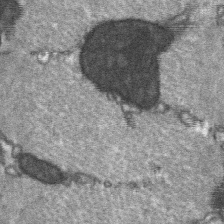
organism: C57BL Mouse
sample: Soleus